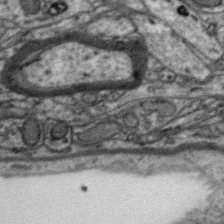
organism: Zebra finch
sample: Brain